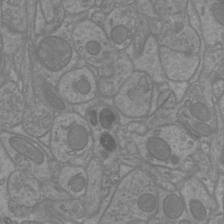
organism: Mouse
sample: Cortical neurons